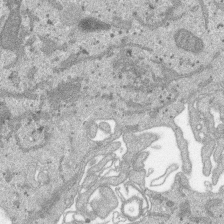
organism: Human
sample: Lung epithelial cells infected with SARS-CoV-2